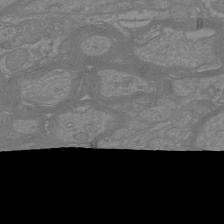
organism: Mouse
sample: Cortical neurons